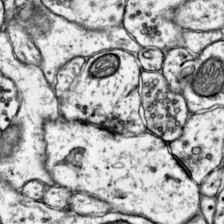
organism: Mouse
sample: Primary visual cortex